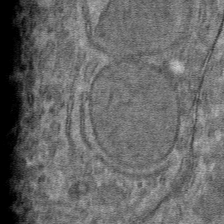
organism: Mouse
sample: Mouse hepatocytes